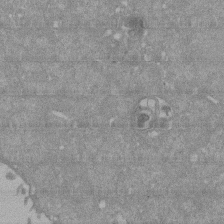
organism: Mouse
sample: ED-1 cell nuclei; centrioles